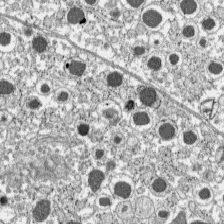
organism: C57BL Mouse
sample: Pancreatic islet